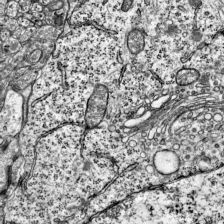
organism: Mouse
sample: Visual Cortex